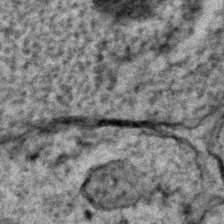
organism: C. elegans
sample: C. elegans embryo